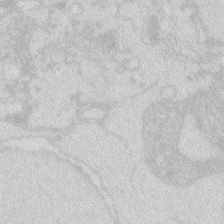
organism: Zebrafish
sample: Macrophage